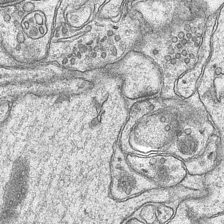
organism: Mouse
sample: CA1 Hippocampus